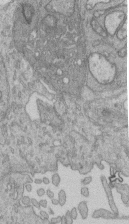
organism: Human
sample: Retinal organoid Rod and Cone cells